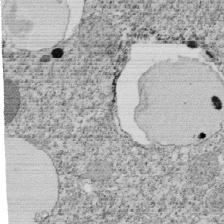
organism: Tetrahymena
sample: Cilia in tetrahymena